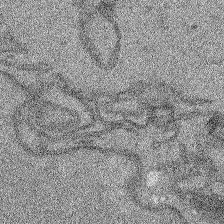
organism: Human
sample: HeLa cells